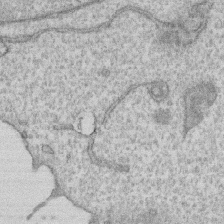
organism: Human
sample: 1205lu cells